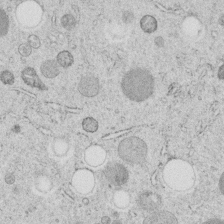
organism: C. elegans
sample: C. elegans embryo early stage